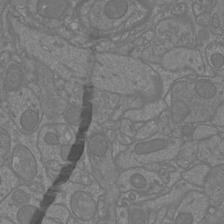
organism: Mouse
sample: Cortical neurons